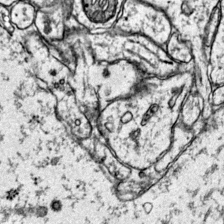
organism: Mouse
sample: Primary visual cortex